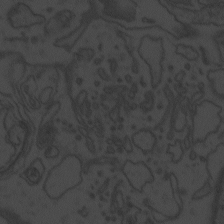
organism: Zebrafish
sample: Macrophage infected with Toxoplasma gondii